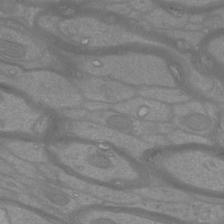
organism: Mouse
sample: Cortical neurons